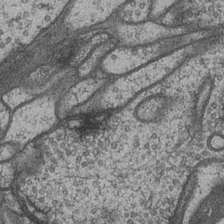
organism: Drosophila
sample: Optic medulla